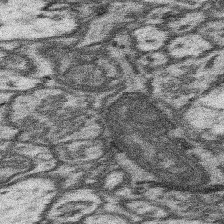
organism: Mouse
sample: Somatosensory cortex neuropil